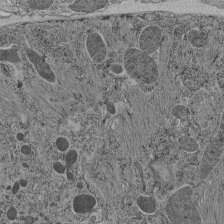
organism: C. elegans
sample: C. elegans pharynx